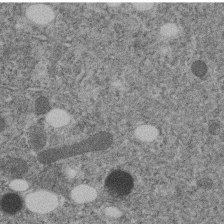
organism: C. elegans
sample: C. elegans embryo early stage